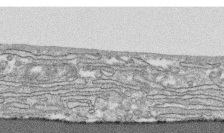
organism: Human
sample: CRL-1474